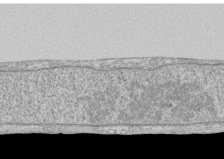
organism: Human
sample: CRL-1474